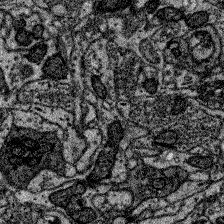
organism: Zebrafish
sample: Larval olfactory bulb